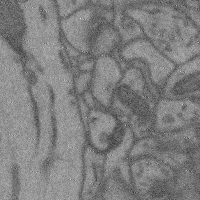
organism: Mouse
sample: Cerebral cortex